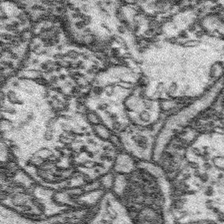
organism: Platynereis dumerilii